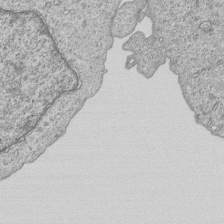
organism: Human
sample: MDA-MB-231 cells